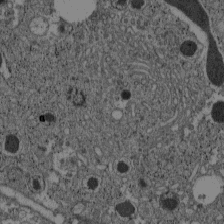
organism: C57BL Mouse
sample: Pancreatic islet